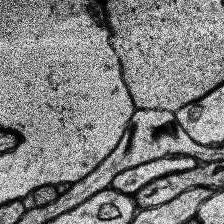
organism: Human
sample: Temporal Lobe